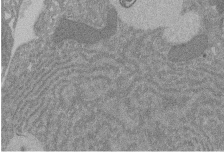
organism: Rat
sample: Salivary granule